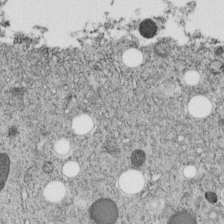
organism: C. elegans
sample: C. elegans embryo early stage